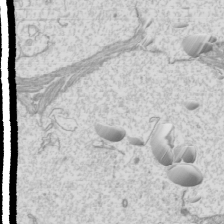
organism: Mouse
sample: Cilia; mouse epididymis